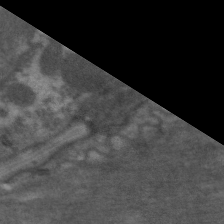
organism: C. elegans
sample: Pharynx